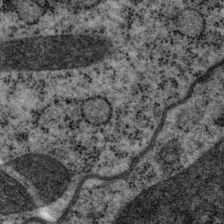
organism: P. pacificus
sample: Pharynx